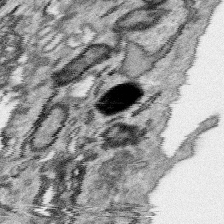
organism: Human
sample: HeLa cells